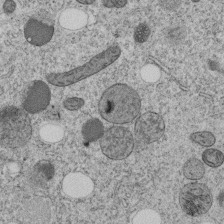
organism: C. elegans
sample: C. elegans embryo early stage